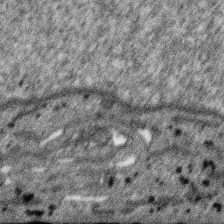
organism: Human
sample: Lung epithelial cells infected with SARS-CoV-2